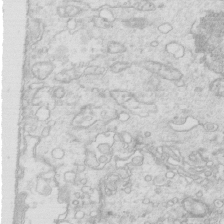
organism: Mouse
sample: Multiciliated cells